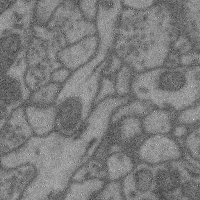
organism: Mouse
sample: Cerebral cortex